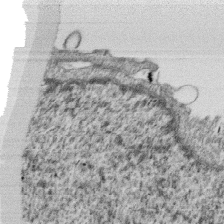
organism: African green monkey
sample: Vero E6 cells infected with SARS-CoV-2